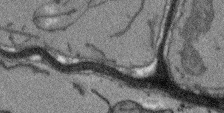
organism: Arabidopsis thaliana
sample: Root tip